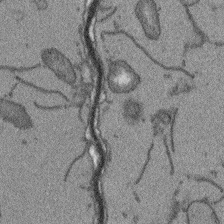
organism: Arabidopsis thaliana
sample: Root tip